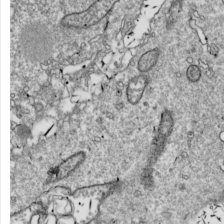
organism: Drosophila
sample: Cell division; meiosis; drosophila spermatocytes